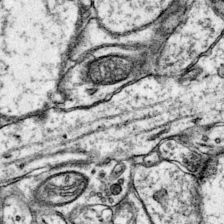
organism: Mouse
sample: Primary visual cortex